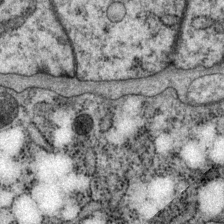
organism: P. pacificus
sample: Pharynx